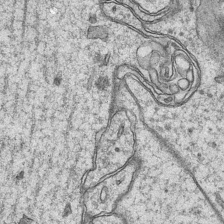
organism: Mouse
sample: CA1 Hippocampus